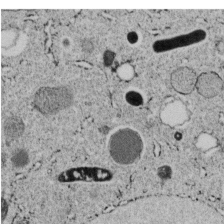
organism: C. elegans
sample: C. elegans embryo early stage